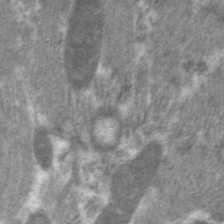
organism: C. elegans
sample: Pharynx